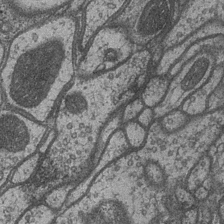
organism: Drosophila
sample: Optic medulla